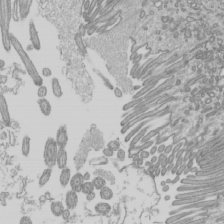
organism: Mouse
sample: Cilia; mouse epididymis